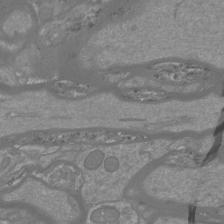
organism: Mouse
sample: Cortical neurons